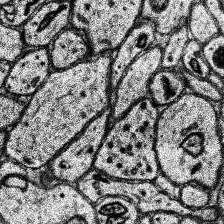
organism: Human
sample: Temporal Lobe